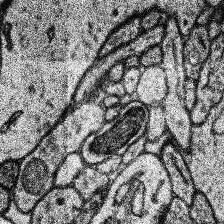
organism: Human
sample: Temporal Lobe